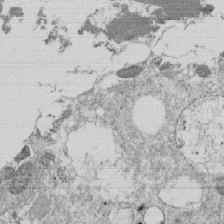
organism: Tetrahymena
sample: Cilia in tetrahymena